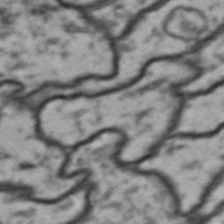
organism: Drosophila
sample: Brain